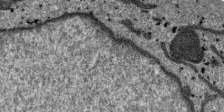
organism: Human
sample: Lung epithelial cells, uninfected (mock) control